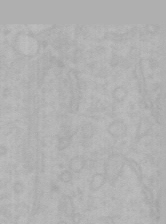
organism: Mouse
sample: Choroid plexus